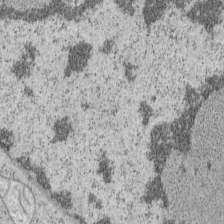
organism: Mouse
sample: OT-I killer T cells with ID8 ovarian cancer cells